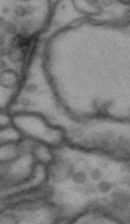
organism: Drosophila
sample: Brain